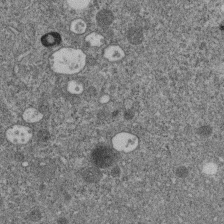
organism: C. elegans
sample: C. elegans embryo early stage